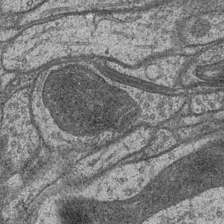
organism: Drosophila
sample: Optic medulla